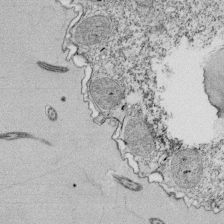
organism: Tetrahymena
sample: Cilia in tetrahymena